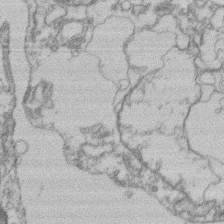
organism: Mouse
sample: T cell stromal cell synapse